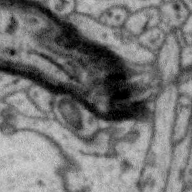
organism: Zebra finch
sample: Brain